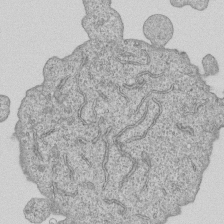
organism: Human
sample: MDA-MB-231 cells